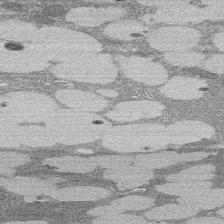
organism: Rat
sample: Salivary granule